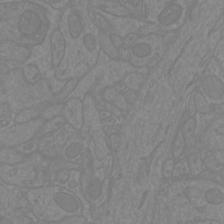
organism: Mouse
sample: Cortical neurons